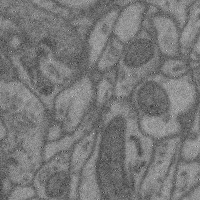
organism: Mouse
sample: Cerebral cortex